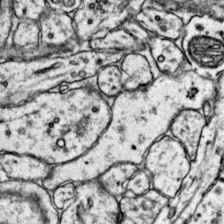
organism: Mouse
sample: Primary visual cortex